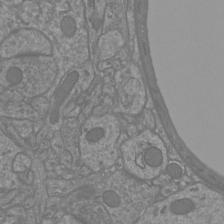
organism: Mouse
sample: Cortical neurons